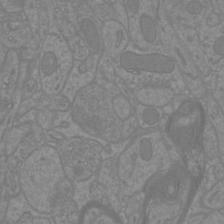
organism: Mouse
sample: Cortical neurons